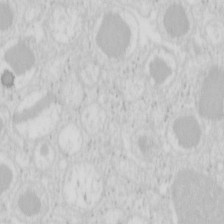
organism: Mouse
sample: Pancreas